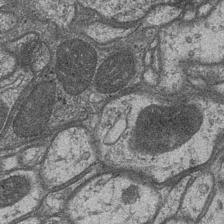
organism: Drosophila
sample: Optic medulla